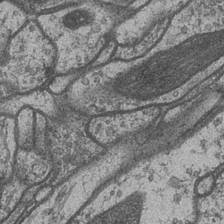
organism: Drosophila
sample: Optic medulla